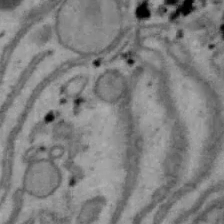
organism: Mouse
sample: Liver